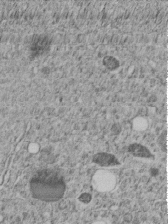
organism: C. elegans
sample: C. elegans embryo early stage